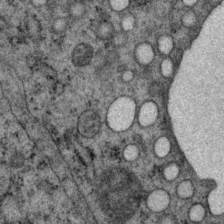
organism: P. pacificus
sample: Pharynx